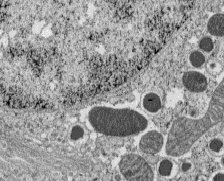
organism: C57BL Mouse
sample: Pancreatic islet